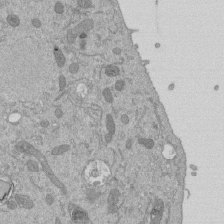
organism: Mouse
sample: ED-1 cell nuclei; centrioles